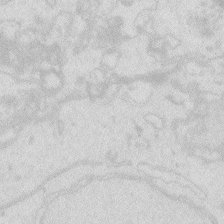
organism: Zebrafish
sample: Macrophage